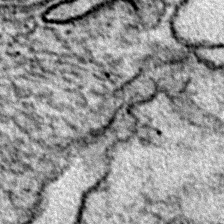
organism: Zebrafish